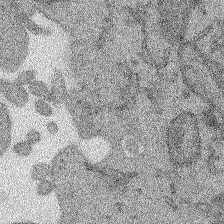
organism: Human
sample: HeLa cells